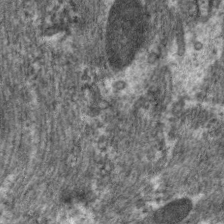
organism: C. elegans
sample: Pharynx